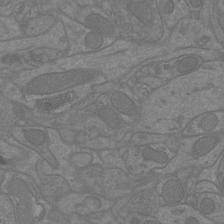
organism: Mouse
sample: Cortical neurons